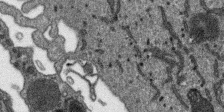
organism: Human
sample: Lung epithelial cells infected with SARS-CoV-2